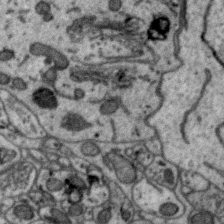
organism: Zebra finch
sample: Brain